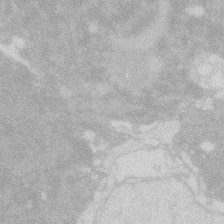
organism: Zebrafish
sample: Macrophage